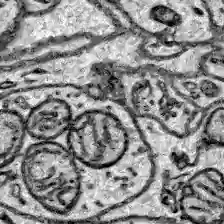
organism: Zebrafish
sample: Brain